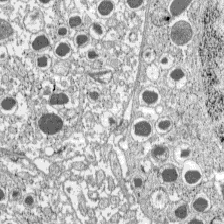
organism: C57BL Mouse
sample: Pancreatic islet